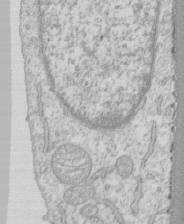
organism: Human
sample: CRL-1474